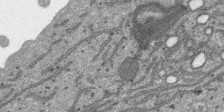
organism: Human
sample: Lung epithelial cells infected with SARS-CoV-2